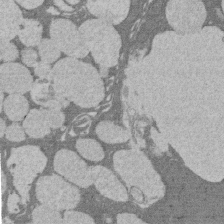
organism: Rat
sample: Salivary granule